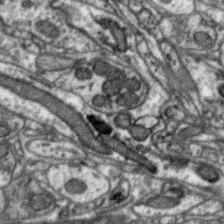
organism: Zebra finch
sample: Brain